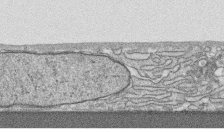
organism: Human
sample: CRL-1474